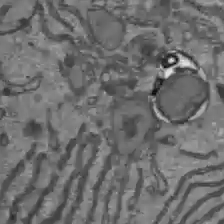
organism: C57BL Mouse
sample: Liver